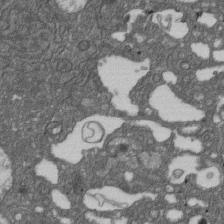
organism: Drosophila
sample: Nephrocyte